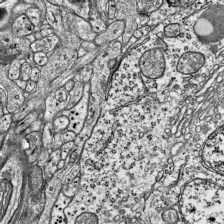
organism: Mouse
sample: Visual Cortex